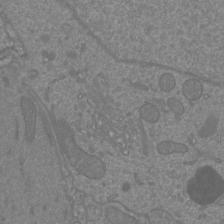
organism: Mouse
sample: Cortical neurons